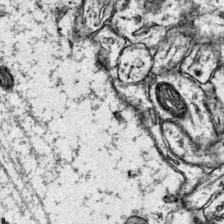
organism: Mouse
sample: Primary visual cortex